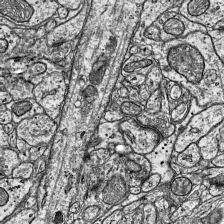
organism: Mouse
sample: Visual Cortex